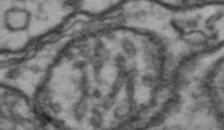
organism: Drosophila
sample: Brain